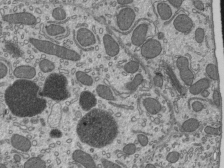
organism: Mouse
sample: Mouse epididymis efferent ductule cilia